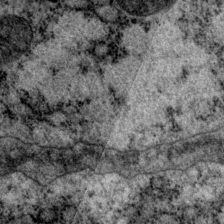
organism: P. pacificus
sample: Pharynx